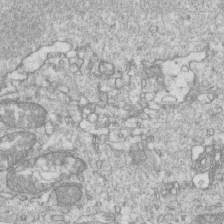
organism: Mouse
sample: Activated OT-1 CD8+ T cells